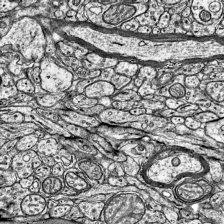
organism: Mouse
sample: Visual Cortex